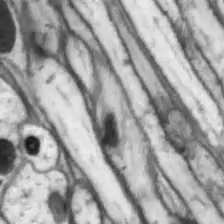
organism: Drosophila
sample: Optic lobe